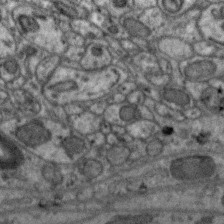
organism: Zebra finch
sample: Brain